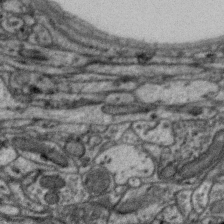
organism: Zebra finch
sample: Brain